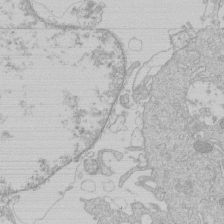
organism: Human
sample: Macrophage cells